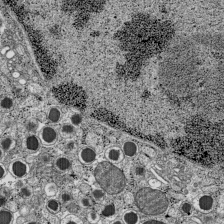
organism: C57BL Mouse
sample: Pancreatic islet